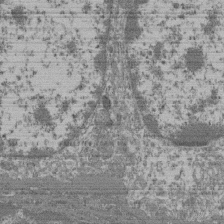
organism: Mouse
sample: Glomerulus